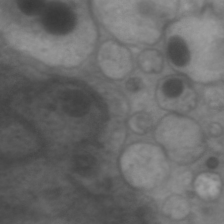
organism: C. elegans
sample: Pharynx